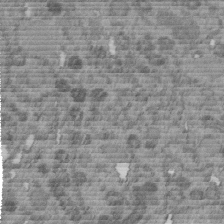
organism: C. elegans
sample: C. elegans embryo early stage